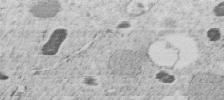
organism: C. elegans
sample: C. elegans embryo early stage